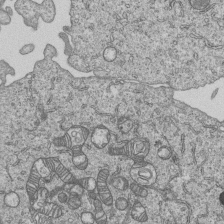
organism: Human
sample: MDA-MB-231 cells